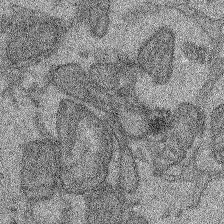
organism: Human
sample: HeLa cells